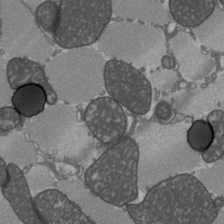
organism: C57BL Mouse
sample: Heart